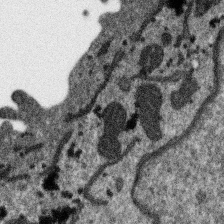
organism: Human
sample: Lung epithelial cells infected with SARS-CoV-2